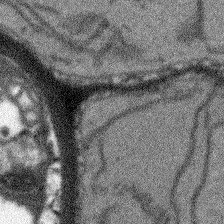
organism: Arabidopsis thaliana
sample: Root tip